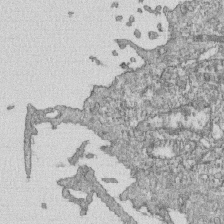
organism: Human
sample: HeLa cell HIV synapse